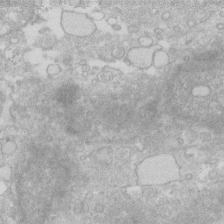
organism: Human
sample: Fibroblast cells